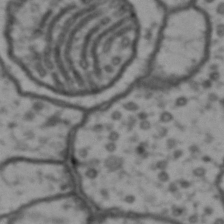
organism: Drosophila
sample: Brain